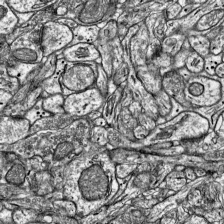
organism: Mouse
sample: Visual Cortex